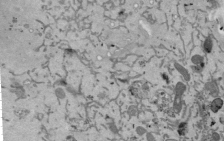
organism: Mouse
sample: ED-1 cell nuclei; centrioles